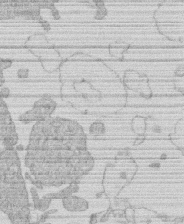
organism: Human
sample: Macrophage cells